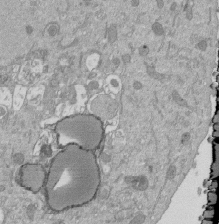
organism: Mouse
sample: ED-1 cell nuclei; centrioles